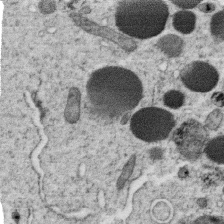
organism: C. elegans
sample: C. elegans oocyte; sperm cells